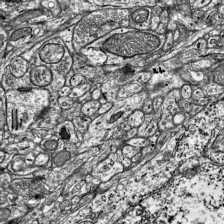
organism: Mouse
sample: Visual Cortex